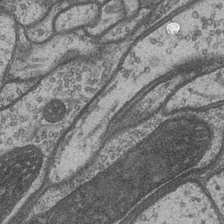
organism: Drosophila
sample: Optic medulla